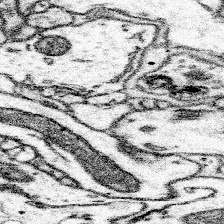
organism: Mouse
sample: Somatosensory cortex neuropil